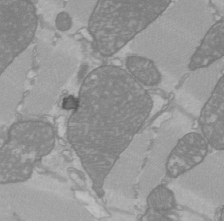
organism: C57BL Mouse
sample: Heart